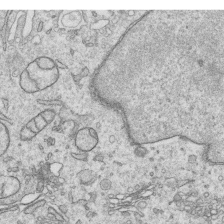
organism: Human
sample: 1205lu cells